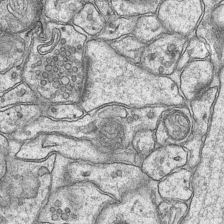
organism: Mouse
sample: CA1 Hippocampus